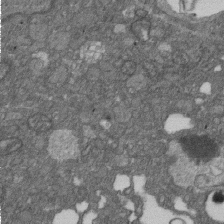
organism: Drosophila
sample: Nephrocyte